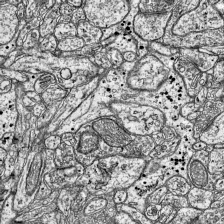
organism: Mouse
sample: Visual Cortex